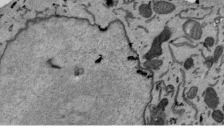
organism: Mouse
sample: ED-1 cell nuclei; centrioles